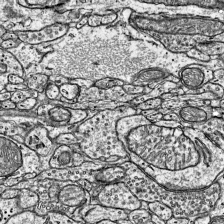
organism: Mouse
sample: Visual Cortex